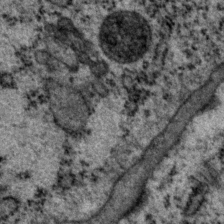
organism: P. pacificus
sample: Pharynx